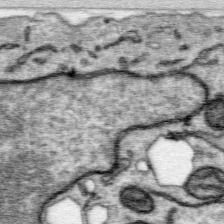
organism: Human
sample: HeLa cells